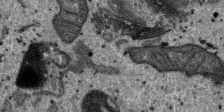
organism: Human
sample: Lung epithelial cells, uninfected (mock) control